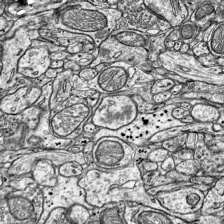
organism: Mouse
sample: Visual Cortex